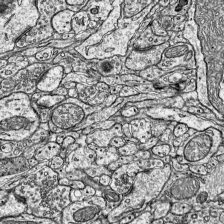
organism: Mouse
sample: Visual Cortex